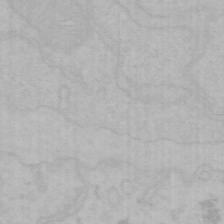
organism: Mouse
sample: Choroid plexus